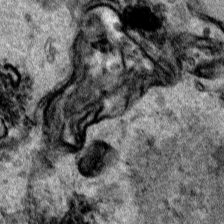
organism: Human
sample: Mitochondria in HCT116 cells